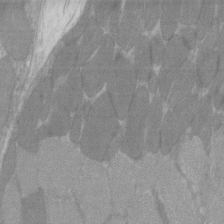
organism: C57BL Mouse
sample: Tibialis anterior muscle cell